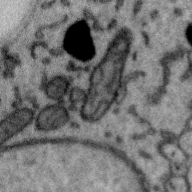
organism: Zebra finch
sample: Brain